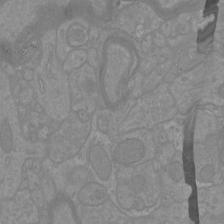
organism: Mouse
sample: Cortical neurons